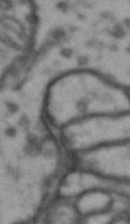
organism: Drosophila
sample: Brain